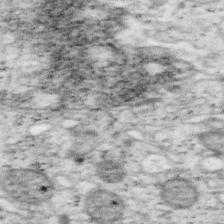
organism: Mouse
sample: OT-I killer T cells with ID8 ovarian cancer cells